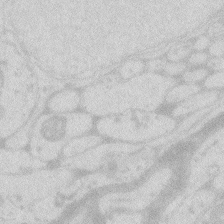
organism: Zebrafish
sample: Macrophage